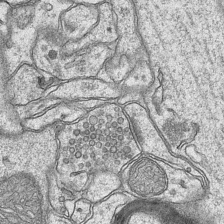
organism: Mouse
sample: CA1 Hippocampus